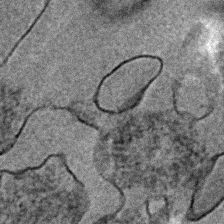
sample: Trachea